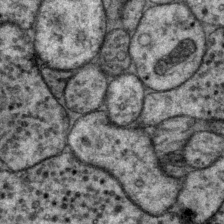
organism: P. pacificus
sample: Pharynx